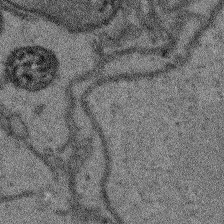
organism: Arabidopsis thaliana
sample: Root tip